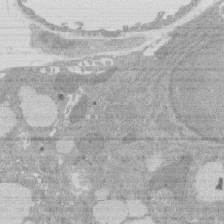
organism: Rat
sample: Salivary granule